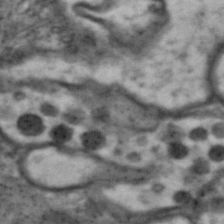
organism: Drosophila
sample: Brain